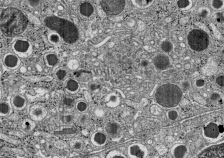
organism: C57BL Mouse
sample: Pancreatic islet